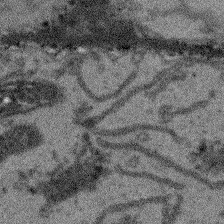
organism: Arabidopsis thaliana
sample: Root tip